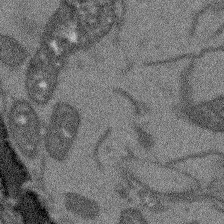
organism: Arabidopsis thaliana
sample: Root tip